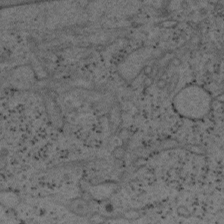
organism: Human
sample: HeLa cells